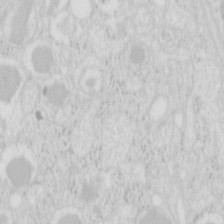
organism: Mouse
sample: Pancreas